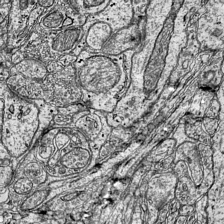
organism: Mouse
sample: Visual Cortex